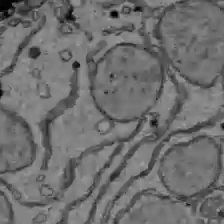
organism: C57BL Mouse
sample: Liver